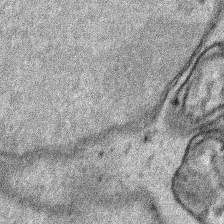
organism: Human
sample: Mitochondria in HCT116 cells